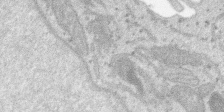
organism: Human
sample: Lung epithelial cells infected with SARS-CoV-2